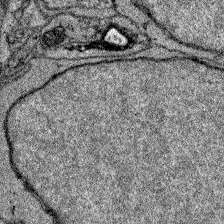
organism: Zebrafish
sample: Larval olfactory bulb